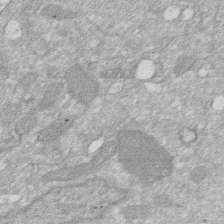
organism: Human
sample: HIV infected U937 cells